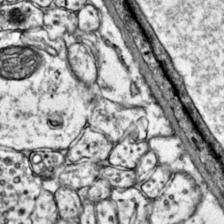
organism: Mouse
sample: Primary visual cortex